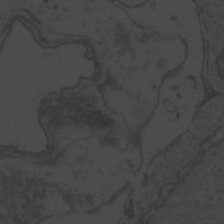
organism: Zebrafish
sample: Macrophage infected with Toxoplasma gondii